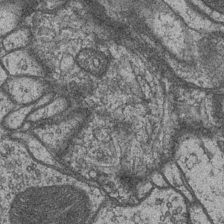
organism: Drosophila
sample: Optic medulla